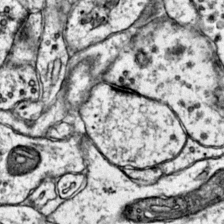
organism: Mouse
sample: Primary visual cortex